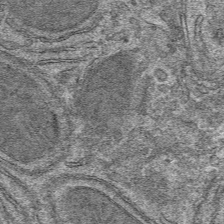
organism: Mouse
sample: Mouse hepatocytes